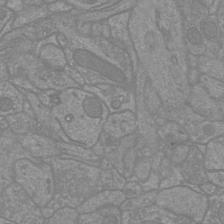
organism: Mouse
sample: Cortical neurons